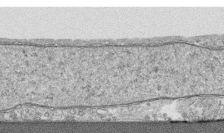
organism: Human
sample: CRL-1474